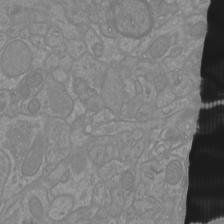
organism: Mouse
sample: Cortical neurons